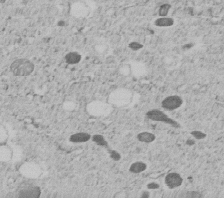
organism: C. elegans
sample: C. elegans embryo early stage